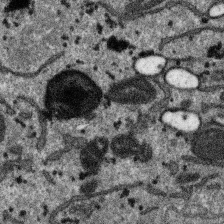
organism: Human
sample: Lung epithelial cells infected with SARS-CoV-2